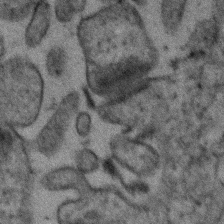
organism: Human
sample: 1205lu cells